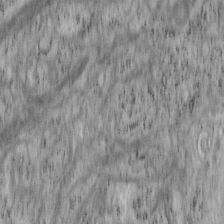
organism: Human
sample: HeLa cells